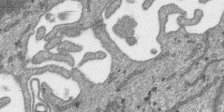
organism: Human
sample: Lung epithelial cells infected with SARS-CoV-2